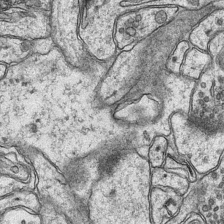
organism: Mouse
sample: CA1 Hippocampus